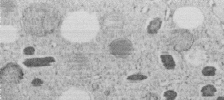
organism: C. elegans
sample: C. elegans embryo early stage